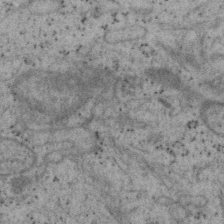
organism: Human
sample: HeLa cells